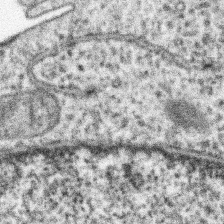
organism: Human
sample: HeLa cells